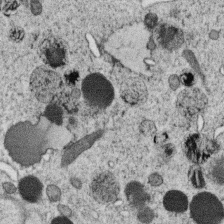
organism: C. elegans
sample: C. elegans oocyte; sperm cells